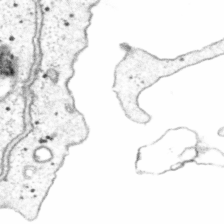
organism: Human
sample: HeLa cells